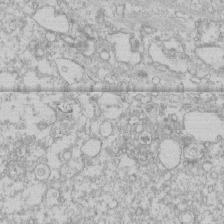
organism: Human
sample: CRL-1474